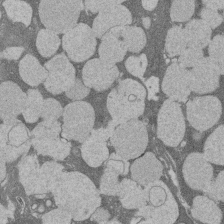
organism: Rat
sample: Salivary granule